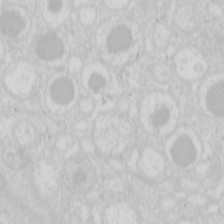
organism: Mouse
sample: Pancreas